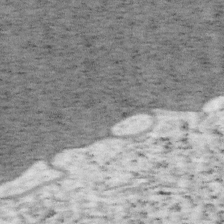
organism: Mouse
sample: OT-I killer T cells with ID8 ovarian cancer cells